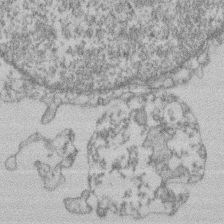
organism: Mouse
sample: T cell stromal cell synapse